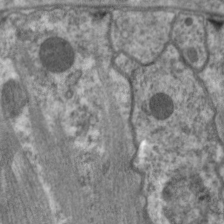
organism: C. elegans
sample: Pharynx